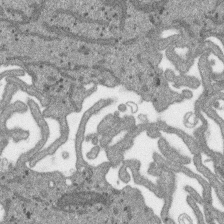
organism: Human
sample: Lung epithelial cells infected with SARS-CoV-2